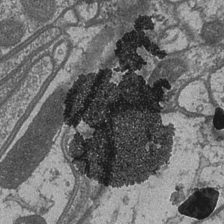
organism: Drosophila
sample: Optic medulla